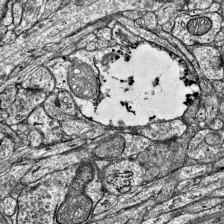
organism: Mouse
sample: Visual Cortex